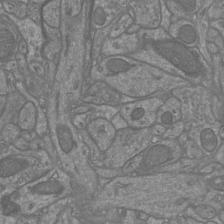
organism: Mouse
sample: Cortical neurons